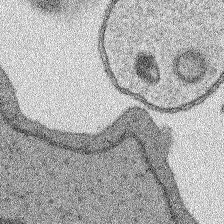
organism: Human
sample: HeLa cells